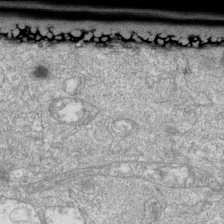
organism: Human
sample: HeLa cell HIV synapse